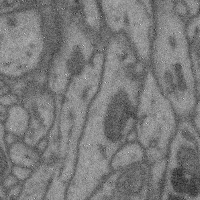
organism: Mouse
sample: Cerebral cortex